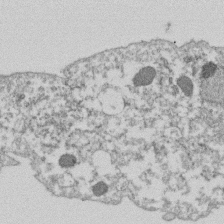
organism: Dictyostelium discoideum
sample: Dictyostelium multivesicular bodies